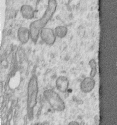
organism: Human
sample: Centriole in RPE cells